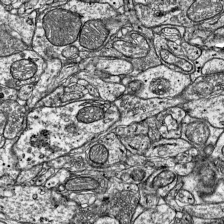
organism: Mouse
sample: Visual Cortex